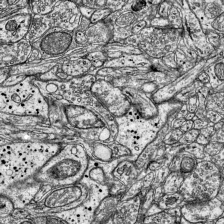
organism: Mouse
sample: Visual Cortex